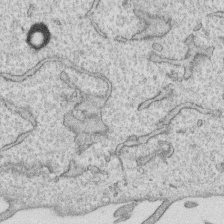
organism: Human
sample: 1205lu cells